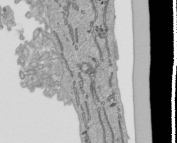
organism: Human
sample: Mitochondria in HCT116 cells